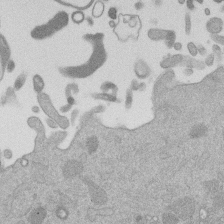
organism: Mouse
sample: Dividing mouse embryo 1 cell stage